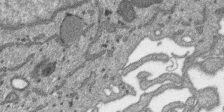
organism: Human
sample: Lung epithelial cells infected with SARS-CoV-2